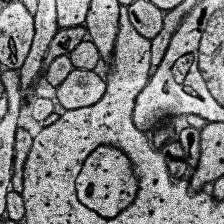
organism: Human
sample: Temporal Lobe